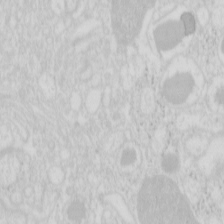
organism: Mouse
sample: Pancreas